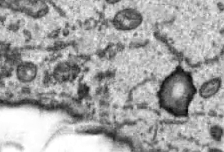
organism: Human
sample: HeLa cells